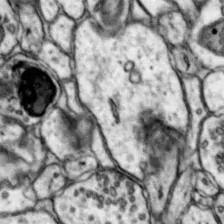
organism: Mouse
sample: Nucleus accumbens